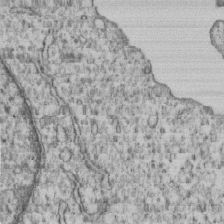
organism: Human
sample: MDA-MB-231 cells